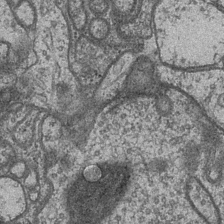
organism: Drosophila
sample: Optic medulla